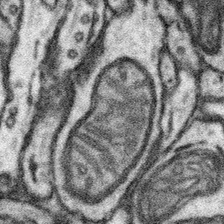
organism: Mouse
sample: Somatosensory cortex neuropil